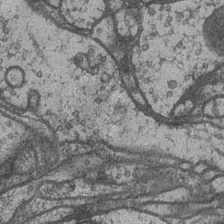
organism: Drosophila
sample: Optic medulla